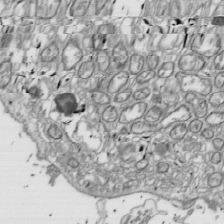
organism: Drosophila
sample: Cell division; meiosis; drosophila spermatocytes